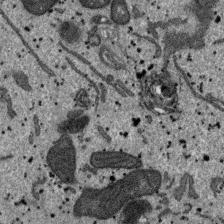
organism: Human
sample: Lung epithelial cells, uninfected (mock) control